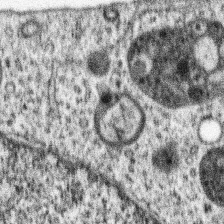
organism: Human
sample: HeLa cells